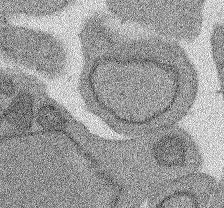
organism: Human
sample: HeLa cells